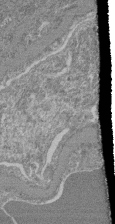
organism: Mouse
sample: Glomerulus